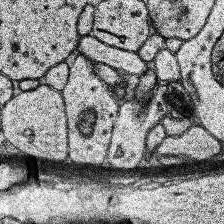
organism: Human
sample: Temporal Lobe